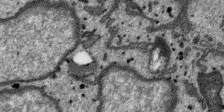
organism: Human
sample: Lung epithelial cells, uninfected (mock) control